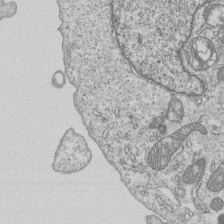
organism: Human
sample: MDA-MB-231 cells